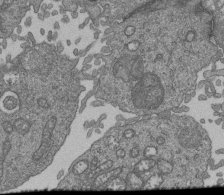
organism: Human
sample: Retinal organoid Rod and Cone cells